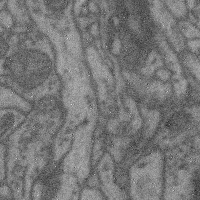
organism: Mouse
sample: Cerebral cortex